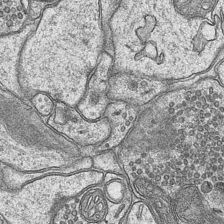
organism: Mouse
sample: CA1 Hippocampus